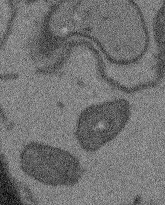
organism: Arabidopsis thaliana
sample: Root tip